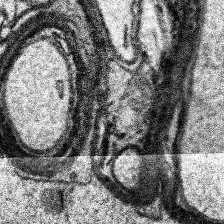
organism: Human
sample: Temporal Lobe